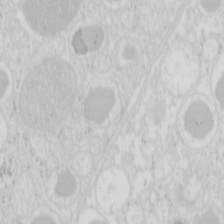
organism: Mouse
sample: Pancreas